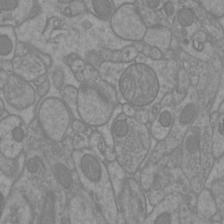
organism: Mouse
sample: Cortical neurons